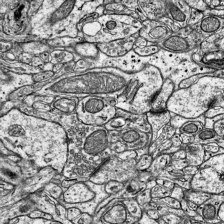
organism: Mouse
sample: Visual Cortex